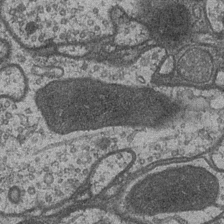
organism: Drosophila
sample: Optic medulla